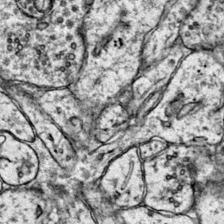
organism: Mouse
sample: Primary visual cortex